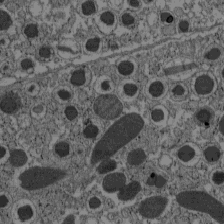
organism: C57BL Mouse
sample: Pancreatic islet